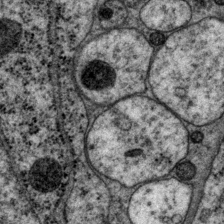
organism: P. pacificus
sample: Pharynx